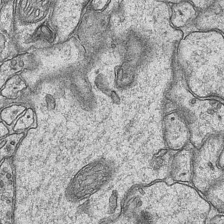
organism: Mouse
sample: CA1 Hippocampus